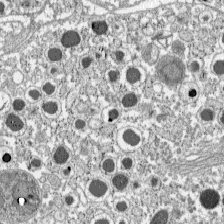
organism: C57BL Mouse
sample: Pancreatic islet